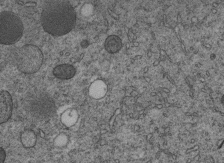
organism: C. elegans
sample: C. elegans embryo early stage